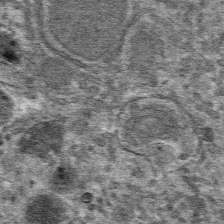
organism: Mouse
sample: Mouse hepatocytes